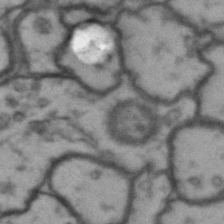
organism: Drosophila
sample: Brain